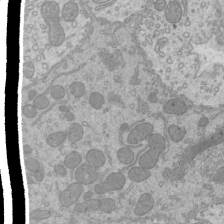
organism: Mouse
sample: Cilia; mouse epididymis